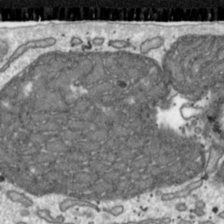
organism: Toxoplasma gondii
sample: Parasites in a vacuole inside a host cell